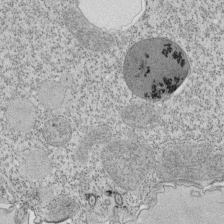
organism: Tetrahymena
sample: Cilia in tetrahymena